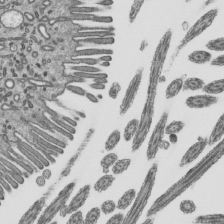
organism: Mouse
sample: Mouse epididymis efferent ductule cilia